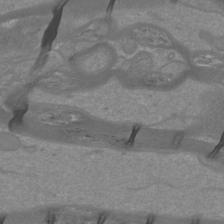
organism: Mouse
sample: Cortical neurons